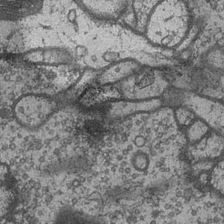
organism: Drosophila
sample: Optic medulla